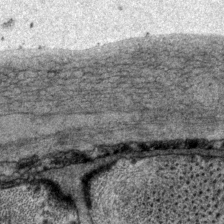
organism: P. pacificus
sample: Pharynx